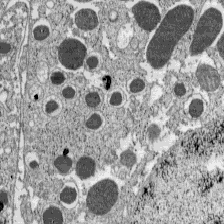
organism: C57BL Mouse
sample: Pancreatic islet